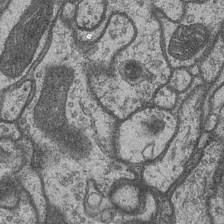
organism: Drosophila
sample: Optic medulla